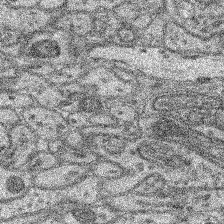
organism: Mouse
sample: Retina